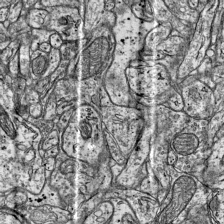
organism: Mouse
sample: Visual Cortex